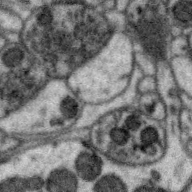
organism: Zebra finch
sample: Brain